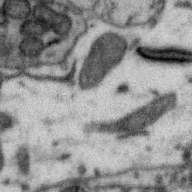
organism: Zebra finch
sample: Brain